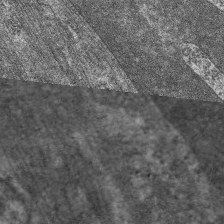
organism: C. elegans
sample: Pharynx